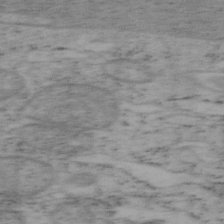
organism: Mouse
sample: OT-I killer T cells with ID8 ovarian cancer cells